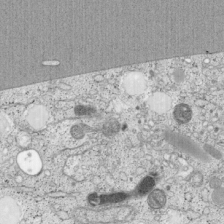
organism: African green monkey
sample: COS-7 cells